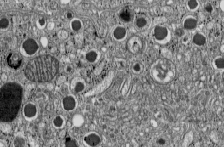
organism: C57BL Mouse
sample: Pancreatic islet